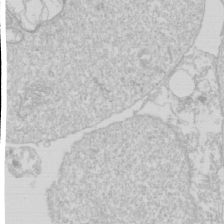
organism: Drosophila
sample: Cell division; meiosis; drosophila spermatocytes